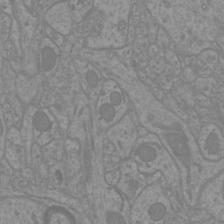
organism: Mouse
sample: Cortical neurons